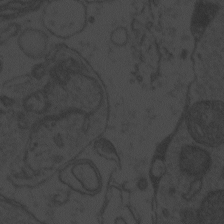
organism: Zebrafish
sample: Macrophage infected with Toxoplasma gondii